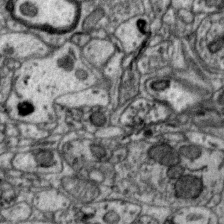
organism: Zebra finch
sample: Brain